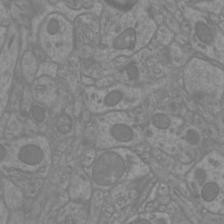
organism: Mouse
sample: Cortical neurons